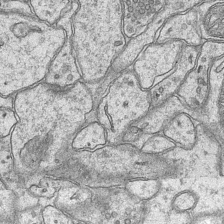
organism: Mouse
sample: CA1 Hippocampus